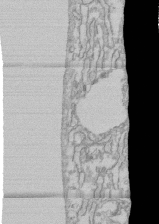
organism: Human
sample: CRL-1474